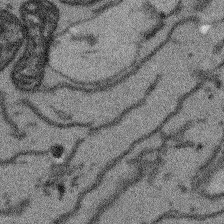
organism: Arabidopsis thaliana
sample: Root tip